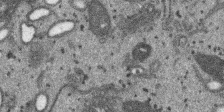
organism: Human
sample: Lung epithelial cells infected with SARS-CoV-2